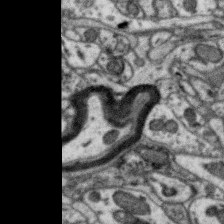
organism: Zebra finch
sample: Brain